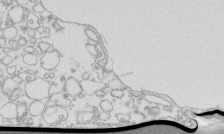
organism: Mouse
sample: Macrophages